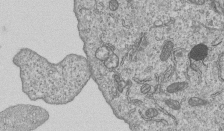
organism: Human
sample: MDA-MB-231 cells